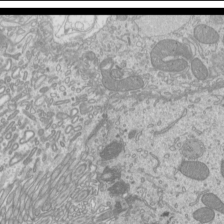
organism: Mouse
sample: Cilia; mouse epididymis